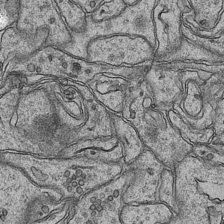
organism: Mouse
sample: CA1 Hippocampus